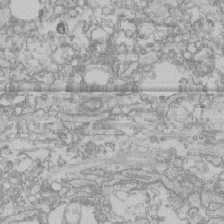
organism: Human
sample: CRL-1474